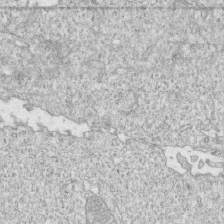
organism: Human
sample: HeLa cell HIV synapse